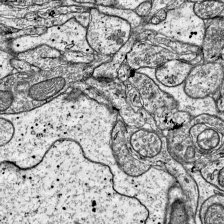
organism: Mouse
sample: Visual Cortex